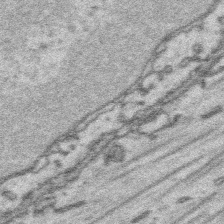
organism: Platynereis dumerilii